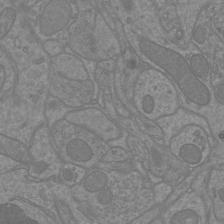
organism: Mouse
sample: Cortical neurons